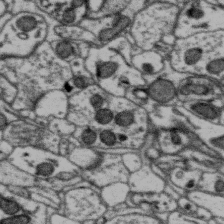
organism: Zebra finch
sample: Brain